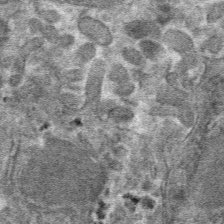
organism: Mouse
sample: Mouse hepatocytes